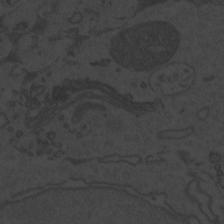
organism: Zebrafish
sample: Macrophage infected with Toxoplasma gondii